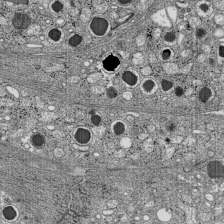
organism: C57BL Mouse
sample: Pancreatic islet